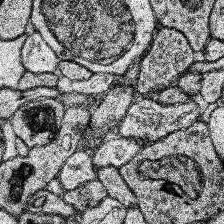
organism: Human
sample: Temporal Lobe